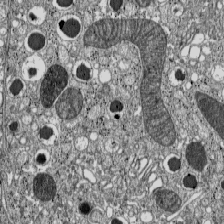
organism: C57BL Mouse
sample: Pancreatic islet